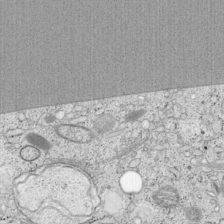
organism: African green monkey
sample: COS-7 cells